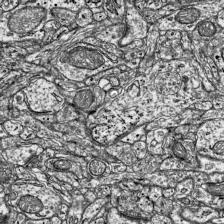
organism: Mouse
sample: Visual Cortex